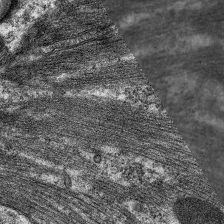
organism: C. elegans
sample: Pharynx